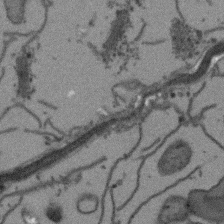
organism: Arabidopsis thaliana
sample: Root tip